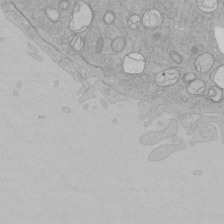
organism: Human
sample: Mitochondria in HCT116 cells